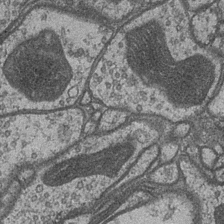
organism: Drosophila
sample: Optic medulla